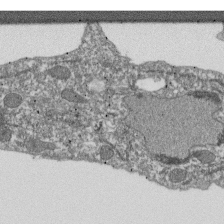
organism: Dictyostelium discoideum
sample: Dictyostelium multivesicular bodies